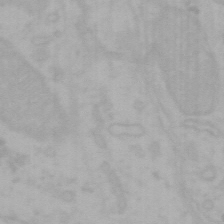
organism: Mouse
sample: Choroid plexus